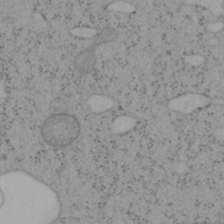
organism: Mouse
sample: OT-I killer T cells with ID8 ovarian cancer cells